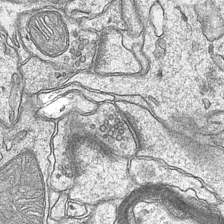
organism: Mouse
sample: CA1 Hippocampus